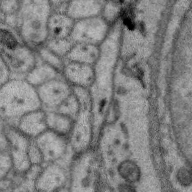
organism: Zebra finch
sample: Brain